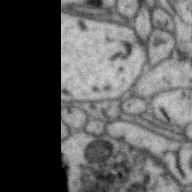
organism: Zebra finch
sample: Brain